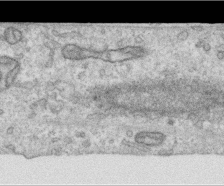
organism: Human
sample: Centriole in RPE cells